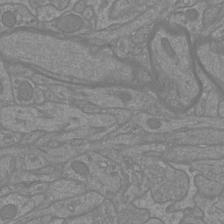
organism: Mouse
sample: Cortical neurons